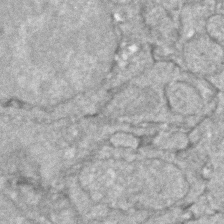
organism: Zebrafish